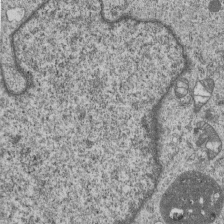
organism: Human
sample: MDA-MB-231 cells